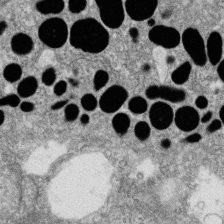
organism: Zebrafish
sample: Cilia; retinal pigment epithelium